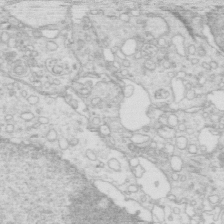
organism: Mouse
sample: Multiciliated cells